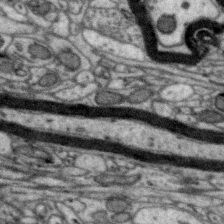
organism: Zebra finch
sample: Brain